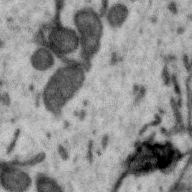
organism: Zebra finch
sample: Brain